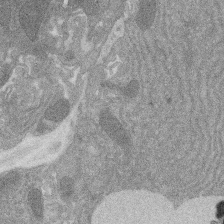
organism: Rat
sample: Salivary granule